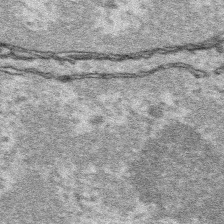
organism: Platynereis dumerilii